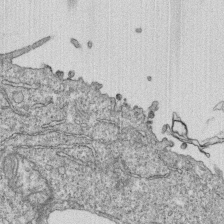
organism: Human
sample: HeLa cell HIV synapse